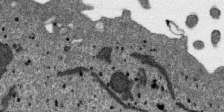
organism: Human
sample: Lung epithelial cells, uninfected (mock) control